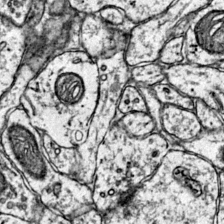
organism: Mouse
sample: Primary visual cortex